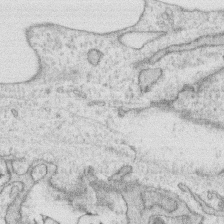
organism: Human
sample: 1205lu cells